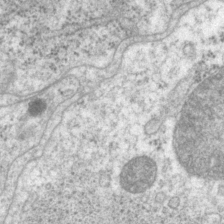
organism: P. pacificus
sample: Pharynx